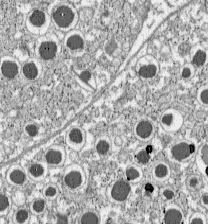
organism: C57BL Mouse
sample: Pancreatic islet